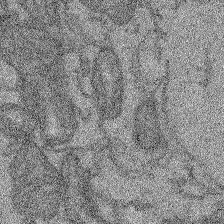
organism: Human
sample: HeLa cells